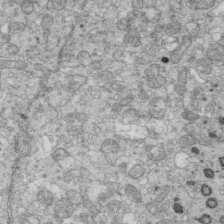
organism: Mouse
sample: Multiciliated cells